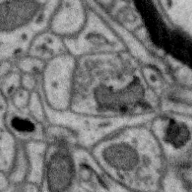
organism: Zebra finch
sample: Brain